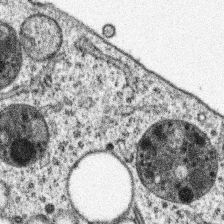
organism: Human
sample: HeLa cells